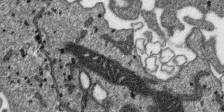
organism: Human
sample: Lung epithelial cells infected with SARS-CoV-2